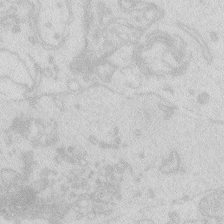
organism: Zebrafish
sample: Macrophage